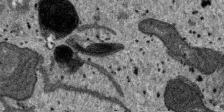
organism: Human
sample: Lung epithelial cells, uninfected (mock) control